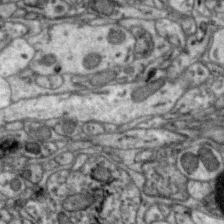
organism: Zebra finch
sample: Brain